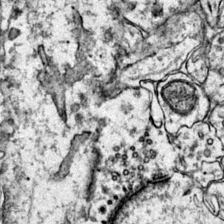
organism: Mouse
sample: Primary visual cortex